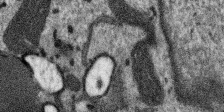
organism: Human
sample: Lung epithelial cells infected with SARS-CoV-2